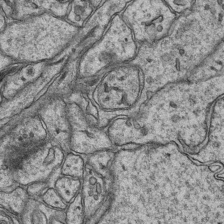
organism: Mouse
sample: CA1 Hippocampus